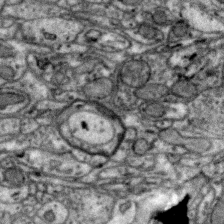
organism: Zebra finch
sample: Brain